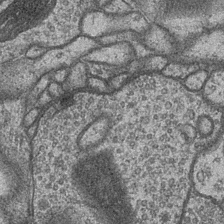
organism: Drosophila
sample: Optic medulla